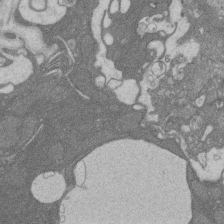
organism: Rat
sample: Salivary granule